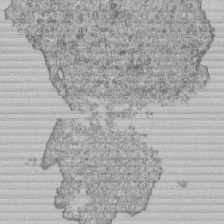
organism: Human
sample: MDA-MB-231 cells